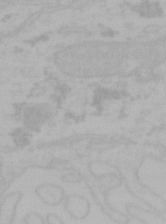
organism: Mouse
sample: Choroid plexus